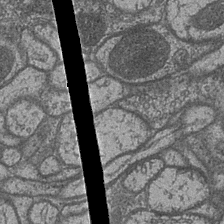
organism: Drosophila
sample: Optic medulla